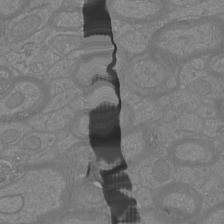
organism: Mouse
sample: Cortical neurons